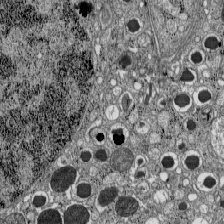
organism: C57BL Mouse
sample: Pancreatic islet